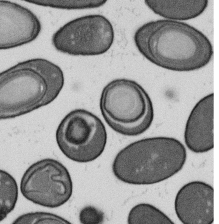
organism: B. subtilis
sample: Bacterial spore